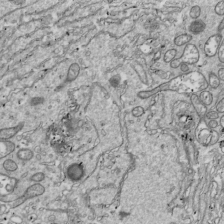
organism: Drosophila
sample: Cell division; meiosis; drosophila spermatocytes